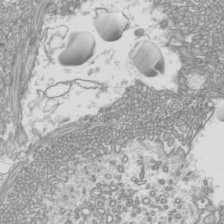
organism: Mouse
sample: Cilia; mouse epididymis